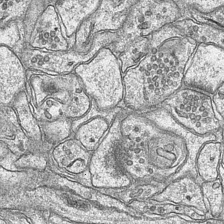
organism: Mouse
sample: CA1 Hippocampus